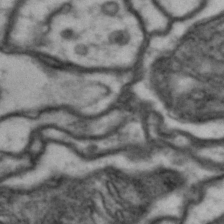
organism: Drosophila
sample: Brain